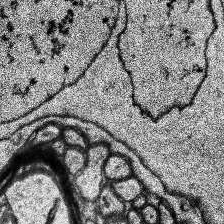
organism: Human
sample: Temporal Lobe